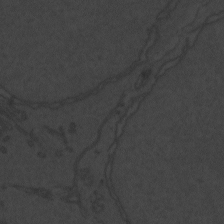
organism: Zebrafish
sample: Macrophage infected with Toxoplasma gondii